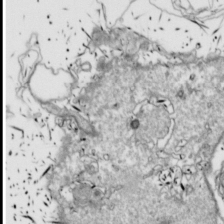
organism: Drosophila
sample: Cell division; meiosis; drosophila spermatocytes